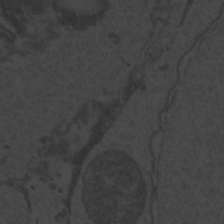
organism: Zebrafish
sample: Macrophage infected with Toxoplasma gondii